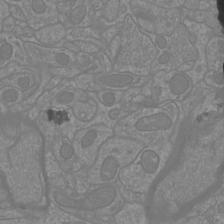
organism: Mouse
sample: Cortical neurons